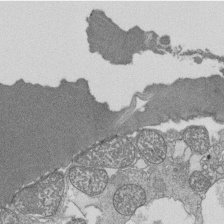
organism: Tetrahymena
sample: Cilia in tetrahymena